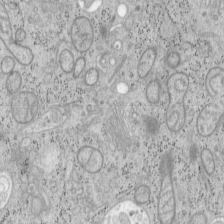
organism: Mouse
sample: OT-I killer T cells with ID8 ovarian cancer cells